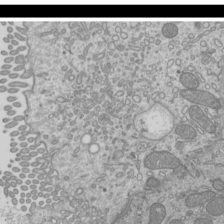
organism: Mouse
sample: Cilia; mouse epididymis